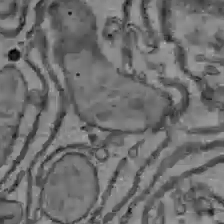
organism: C57BL Mouse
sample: Liver